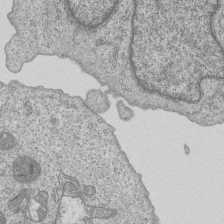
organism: Human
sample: MDA-MB-231 cells